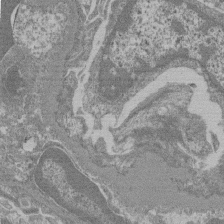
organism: Mouse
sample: Glomerulus